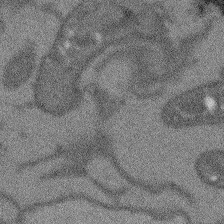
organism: Arabidopsis thaliana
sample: Root tip